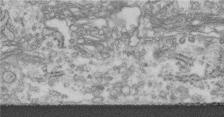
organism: Human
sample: Centriole in fibroblast cells